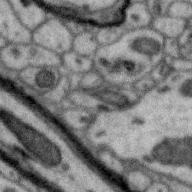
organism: Zebra finch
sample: Brain